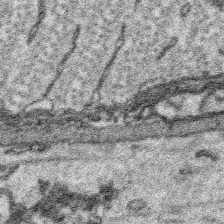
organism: Platynereis dumerilii